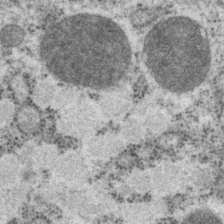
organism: P. pacificus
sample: Pharynx